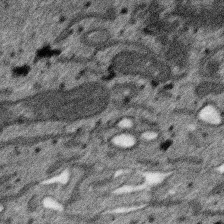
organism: Human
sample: Lung epithelial cells infected with SARS-CoV-2